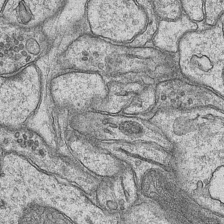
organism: Mouse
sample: CA1 Hippocampus